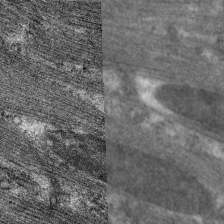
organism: C. elegans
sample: Pharynx